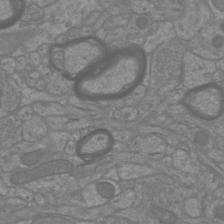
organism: Mouse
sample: Cortical neurons